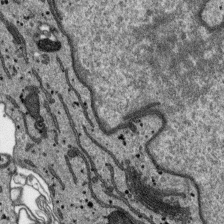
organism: Human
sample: Lung epithelial cells, uninfected (mock) control